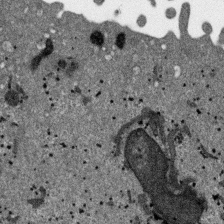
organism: Human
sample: Lung epithelial cells, uninfected (mock) control